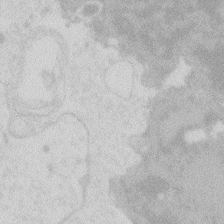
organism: Zebrafish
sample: Macrophage